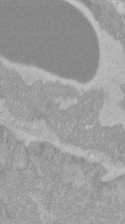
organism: C57BL Mouse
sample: Tibialis anterior muscle cell